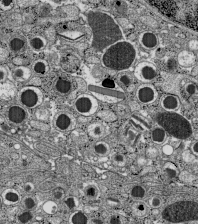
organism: C57BL Mouse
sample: Pancreatic islet